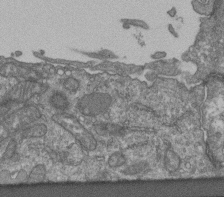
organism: Human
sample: Retinal organoid Rod and Cone cells